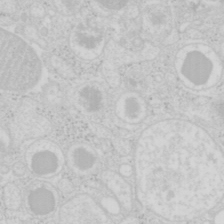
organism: Mouse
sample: Pancreas